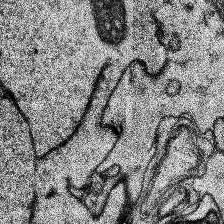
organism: Human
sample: Temporal Lobe